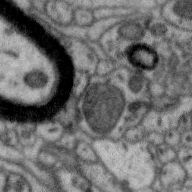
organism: Zebra finch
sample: Brain